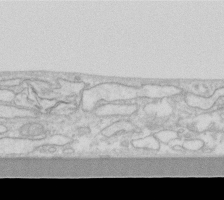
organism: Human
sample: Fibroblast cells